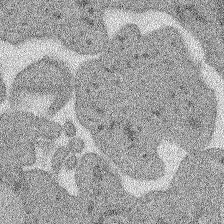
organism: Human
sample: HeLa cells